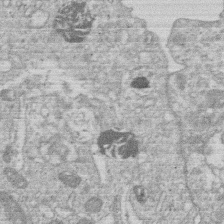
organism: Human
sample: Macrophage cells